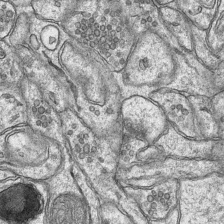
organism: Mouse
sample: CA1 Hippocampus